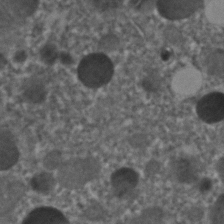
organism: C. elegans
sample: C. elegans embryo